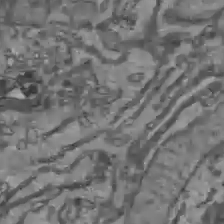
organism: C57BL Mouse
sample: Liver